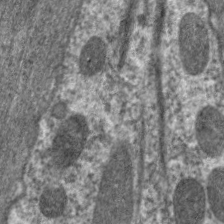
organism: C. elegans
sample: Pharynx